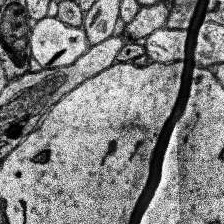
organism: Human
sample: Temporal Lobe